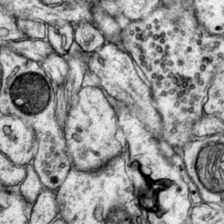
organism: Mouse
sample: Primary visual cortex